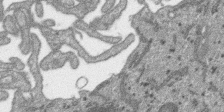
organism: Human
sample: Lung epithelial cells infected with SARS-CoV-2